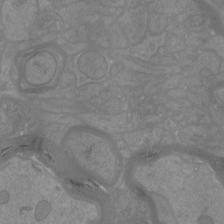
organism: Mouse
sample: Cortical neurons